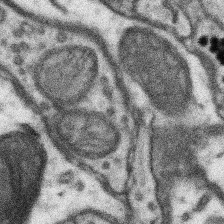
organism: Mouse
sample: Somatosensory cortex neuropil